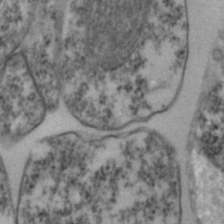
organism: Zebrafish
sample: Zebrafish embryo